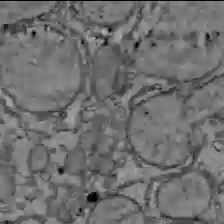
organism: C57BL Mouse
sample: Liver